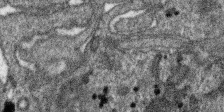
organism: Human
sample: Lung epithelial cells infected with SARS-CoV-2